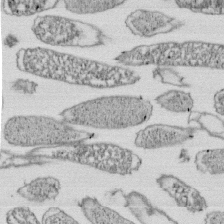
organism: E. coli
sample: Bacterial nucleoid